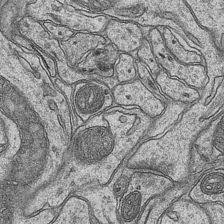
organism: Mouse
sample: CA1 Hippocampus